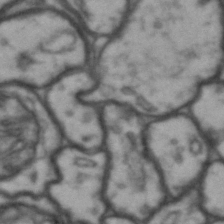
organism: Drosophila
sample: Brain